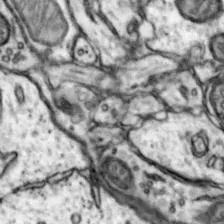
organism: Mouse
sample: Nucleus accumbens